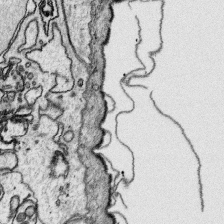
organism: Platynereis dumerilii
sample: Parapodia